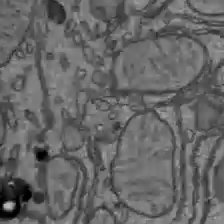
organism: C57BL Mouse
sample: Liver